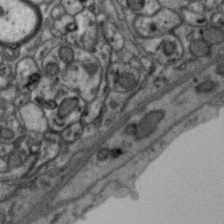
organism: Zebra finch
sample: Brain